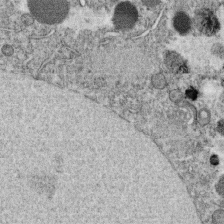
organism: C. elegans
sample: C. elegans oocyte; sperm cells